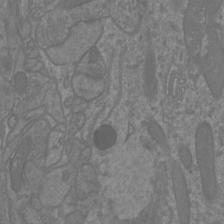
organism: Mouse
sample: Cortical neurons